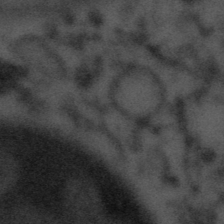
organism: Tuwongella immobilis